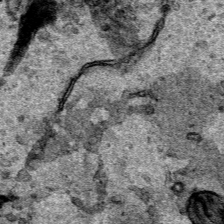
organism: Human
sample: Mitochondria in HCT116 cells